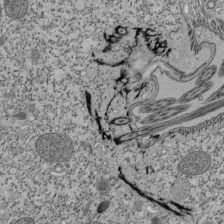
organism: Tetrahymena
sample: Cilia in tetrahymena